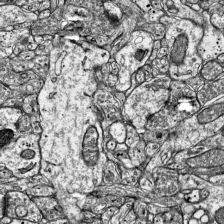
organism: Mouse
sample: Visual Cortex